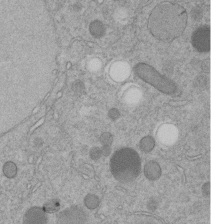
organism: C. elegans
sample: C. elegans embryo early stage